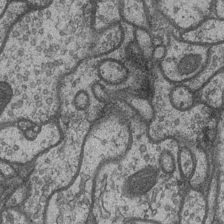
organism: Drosophila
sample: Optic medulla